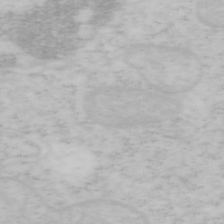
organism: Mouse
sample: OT-I killer T cells with ID8 ovarian cancer cells